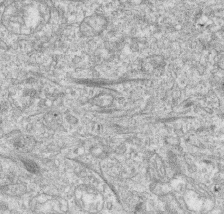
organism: Human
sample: HeLa cell HIV synapse